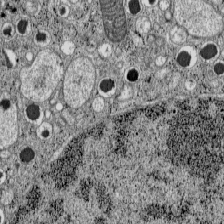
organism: C57BL Mouse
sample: Pancreatic islet